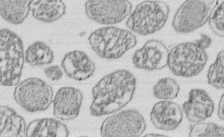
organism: E. coli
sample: Bacterial nucleoid